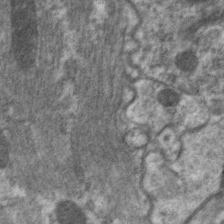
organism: C. elegans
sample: Pharynx